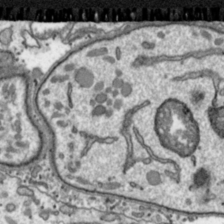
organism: Toxoplasma gondii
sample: Parasites in a vacuole inside a host cell